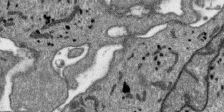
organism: Human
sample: Lung epithelial cells, uninfected (mock) control